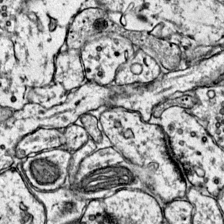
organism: Mouse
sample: Primary visual cortex